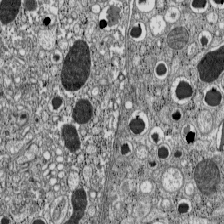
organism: C57BL Mouse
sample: Pancreatic islet